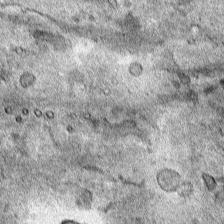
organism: Human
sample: Mitochondria in HCT116 cells